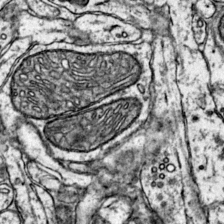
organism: Mouse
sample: Primary visual cortex